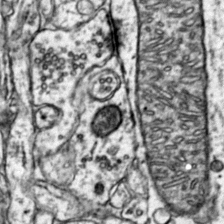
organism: Mouse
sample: Primary visual cortex